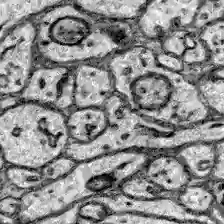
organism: Zebrafish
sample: Brain